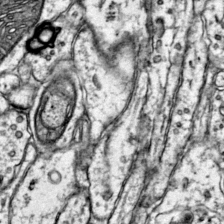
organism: Mouse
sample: Primary visual cortex